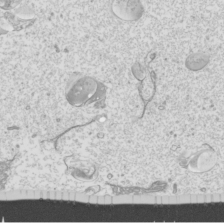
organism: Mouse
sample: Cilia; mouse epididymis